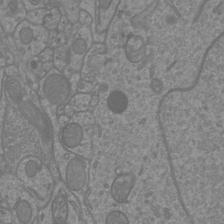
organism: Mouse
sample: Cortical neurons